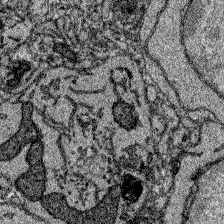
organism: Zebrafish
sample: Larval olfactory bulb